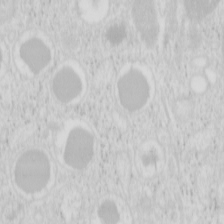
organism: Mouse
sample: Pancreas